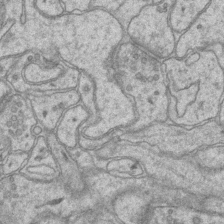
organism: Mouse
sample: CA1 Hippocampus